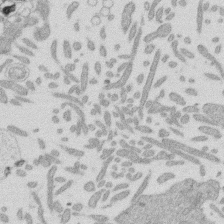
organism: Mouse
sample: Dividing mouse embryo 1 cell stage